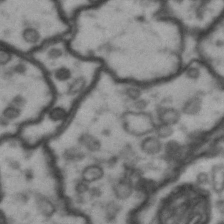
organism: Drosophila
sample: Brain